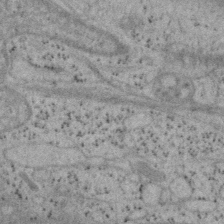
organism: Human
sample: HeLa cells